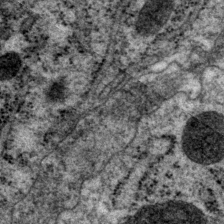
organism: P. pacificus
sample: Pharynx